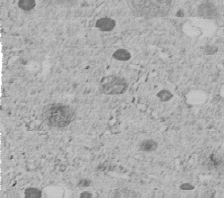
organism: C. elegans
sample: C. elegans embryo early stage